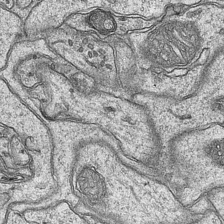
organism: Mouse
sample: CA1 Hippocampus